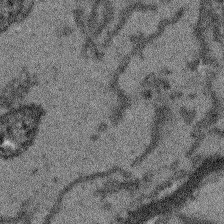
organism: Arabidopsis thaliana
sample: Root tip